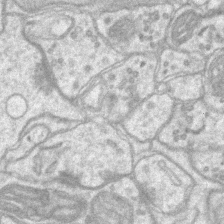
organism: Mouse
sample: CA1 Hippocampus